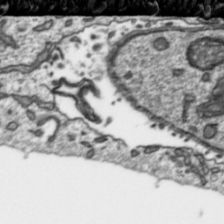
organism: Toxoplasma gondii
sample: Parasites in a vacuole inside a host cell